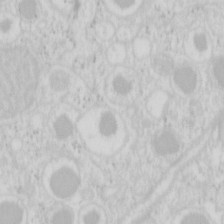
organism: Mouse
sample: Pancreas